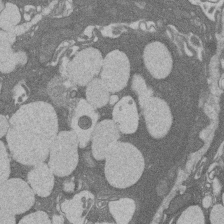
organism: Rat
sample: Salivary granule